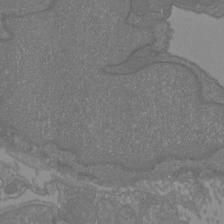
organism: Mouse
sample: Cortical neurons